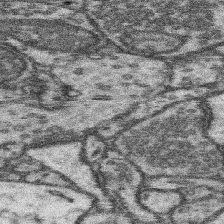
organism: Mouse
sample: Somatosensory cortex neuropil